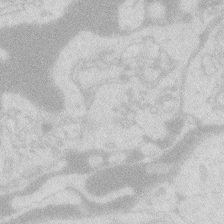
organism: Zebrafish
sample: Macrophage